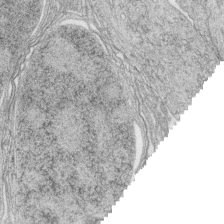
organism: Zebrafish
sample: synaptic ribbons in rod cells and cone cells